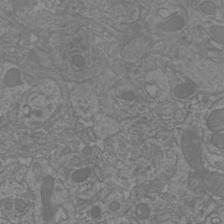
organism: Mouse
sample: Cortical neurons